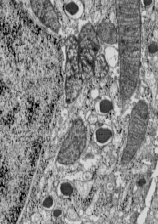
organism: C57BL Mouse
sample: Pancreatic islet